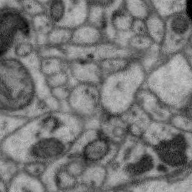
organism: Zebra finch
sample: Brain